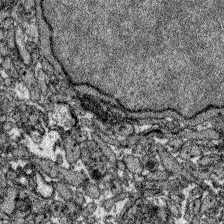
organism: Zebrafish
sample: Larval olfactory bulb